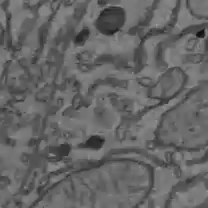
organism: C57BL Mouse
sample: Liver